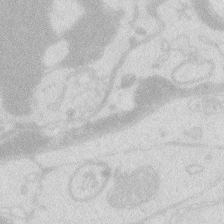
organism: Zebrafish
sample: Macrophage